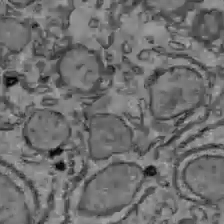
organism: C57BL Mouse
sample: Liver